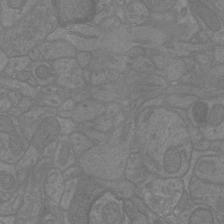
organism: Mouse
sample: Cortical neurons